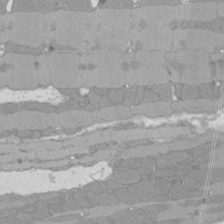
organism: Rat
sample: Left ventricle